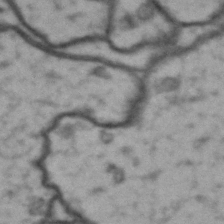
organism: Drosophila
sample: Brain